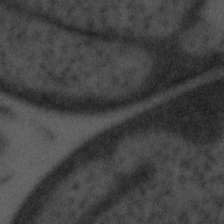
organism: Tuwongella immobilis